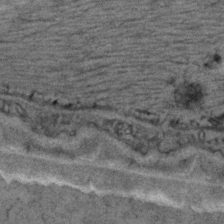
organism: C. elegans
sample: C. elegans embryo